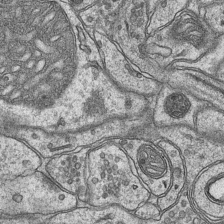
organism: Mouse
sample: CA1 Hippocampus